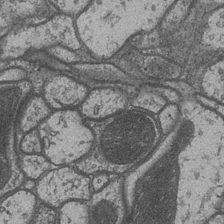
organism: Drosophila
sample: Optic medulla